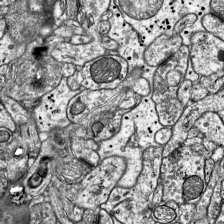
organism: Mouse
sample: Visual Cortex